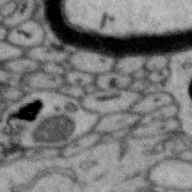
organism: Zebra finch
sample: Brain